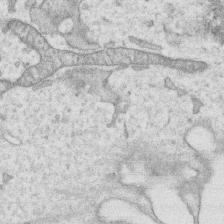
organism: Human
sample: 1205lu cells